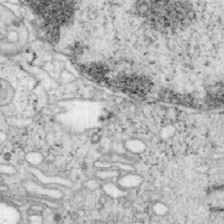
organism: Mouse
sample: OT-I killer T cells with ID8 ovarian cancer cells